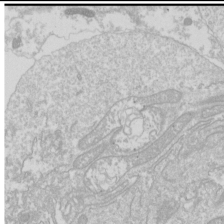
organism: Drosophila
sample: Cell division; meiosis; drosophila spermatocytes